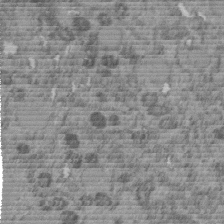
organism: C. elegans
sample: C. elegans embryo early stage